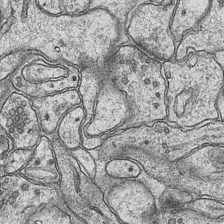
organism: Mouse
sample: CA1 Hippocampus